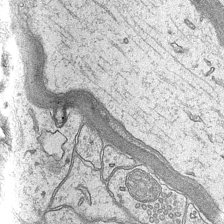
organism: Mouse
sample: CA1 Hippocampus